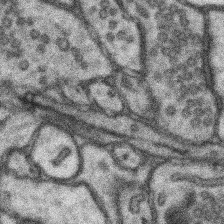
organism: Mouse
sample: Somatosensory cortex neuropil